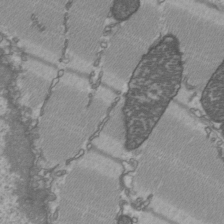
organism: C57BL Mouse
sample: Heart